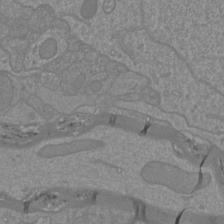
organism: Mouse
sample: Cortical neurons